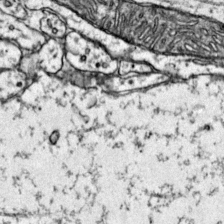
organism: Mouse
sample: Primary visual cortex